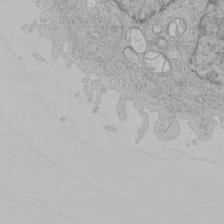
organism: Human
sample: Mitochondria in HCT116 cells